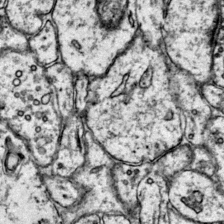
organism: Mouse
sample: Primary visual cortex